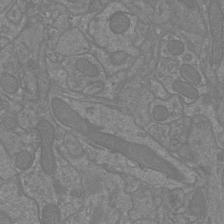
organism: Mouse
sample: Cortical neurons